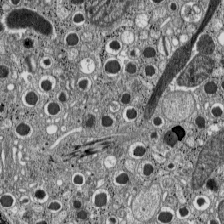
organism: C57BL Mouse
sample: Pancreatic islet